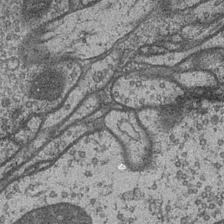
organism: Drosophila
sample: Optic medulla